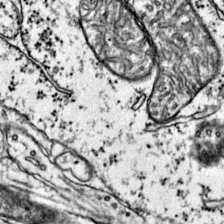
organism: Mouse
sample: Primary visual cortex